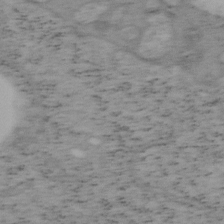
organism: Mouse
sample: OT-I killer T cells with ID8 ovarian cancer cells